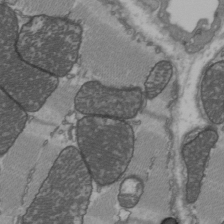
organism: C57BL Mouse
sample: Heart